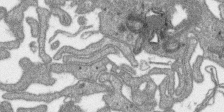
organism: Human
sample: Lung epithelial cells infected with SARS-CoV-2